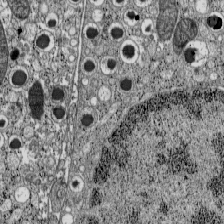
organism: C57BL Mouse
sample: Pancreatic islet